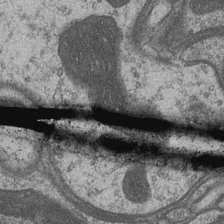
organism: Drosophila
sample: Optic medulla